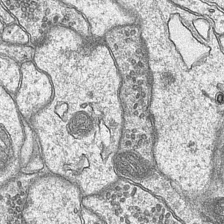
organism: Mouse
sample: CA1 Hippocampus